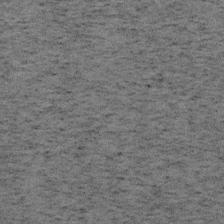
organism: Mouse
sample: OT-I killer T cells with ID8 ovarian cancer cells